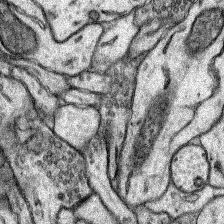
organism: Rat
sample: Hippocampus